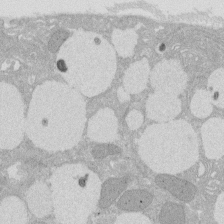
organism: Rat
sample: Salivary granule